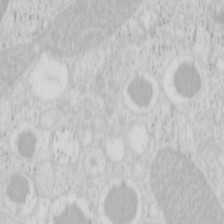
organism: Mouse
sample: Pancreas